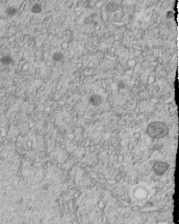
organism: C. elegans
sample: C. elegans embryo early stage